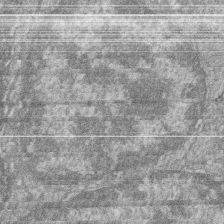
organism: Zebrafish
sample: Cilia; retinal pigment epithelium